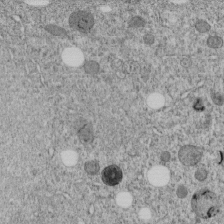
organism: C. elegans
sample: C. elegans embryo early stage